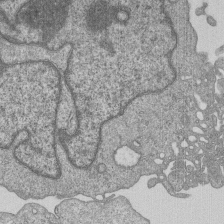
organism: Human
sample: MDA-MB-231 cells